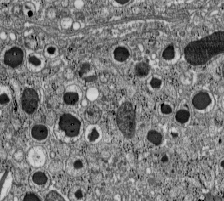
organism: C57BL Mouse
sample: Pancreatic islet